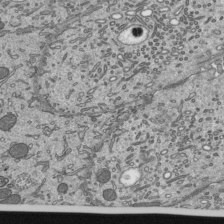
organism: Mouse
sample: Mouse epididymis efferent ductule cilia